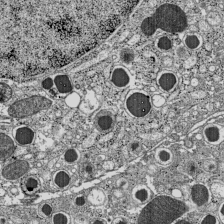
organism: C57BL Mouse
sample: Pancreatic islet